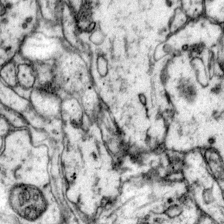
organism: Mouse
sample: Primary visual cortex